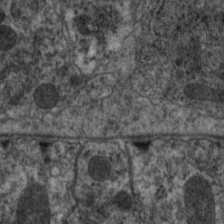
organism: C. elegans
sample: Pharynx